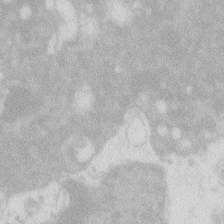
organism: Zebrafish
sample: Macrophage